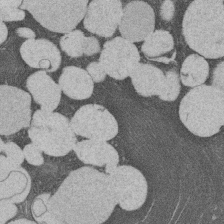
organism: Rat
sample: Salivary granule